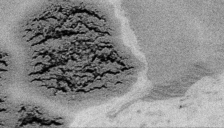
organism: Embia sp.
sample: Silk gland